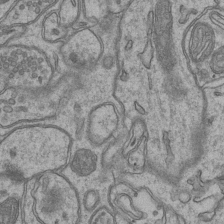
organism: Mouse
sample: CA1 Hippocampus